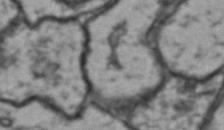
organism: Drosophila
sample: Brain